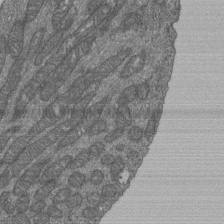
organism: Human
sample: Retinal organoid Rod and Cone cells